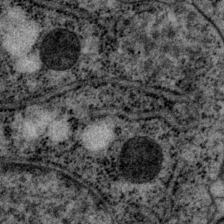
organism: P. pacificus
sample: Pharynx